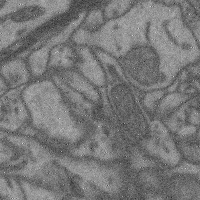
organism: Mouse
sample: Cerebral cortex